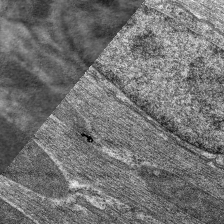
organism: C. elegans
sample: Pharynx